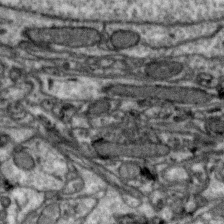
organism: Zebra finch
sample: Brain